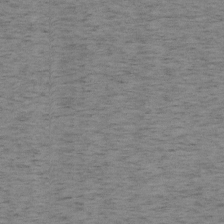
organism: Mouse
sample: OT-I killer T cells with ID8 ovarian cancer cells